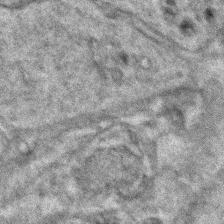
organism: Zebrafish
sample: Zebrafish embryo